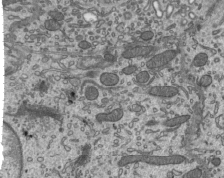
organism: Mouse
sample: Mouse epididymis efferent ductule cilia